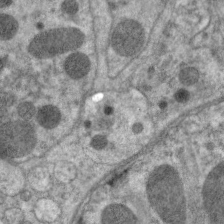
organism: C. elegans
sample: Pharynx